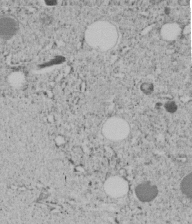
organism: C. elegans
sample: C. elegans embryo early stage